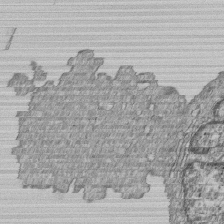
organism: Human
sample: MDA-MB-231 cells